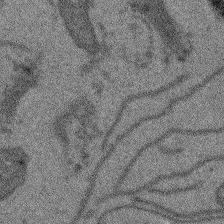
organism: Arabidopsis thaliana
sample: Root tip